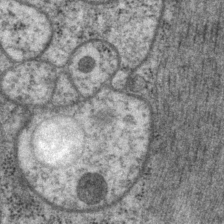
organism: P. pacificus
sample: Pharynx